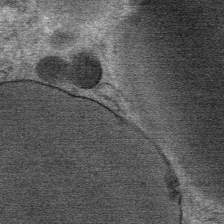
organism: Mouse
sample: Mouse Salivary gland